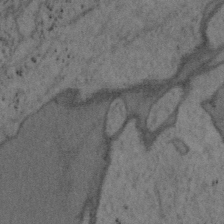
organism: Human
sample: HeLa cells